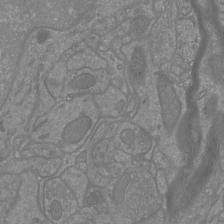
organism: Mouse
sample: Cortical neurons